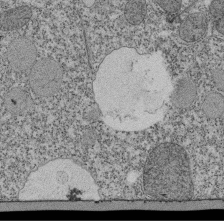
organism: Tetrahymena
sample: Cilia in tetrahymena